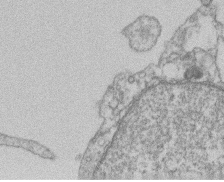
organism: Mouse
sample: T cell stromal cell synapse